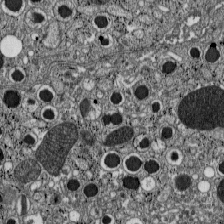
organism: C57BL Mouse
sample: Pancreatic islet